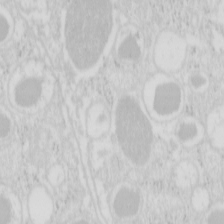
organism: Mouse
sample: Pancreas